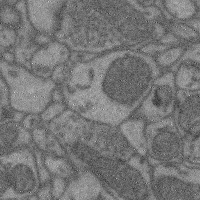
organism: Mouse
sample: Cerebral cortex